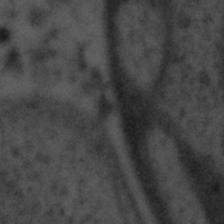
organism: Tuwongella immobilis